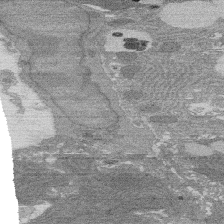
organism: Rat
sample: Salivary granule